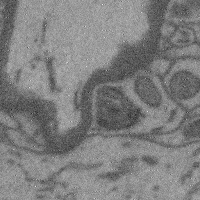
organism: Mouse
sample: Cerebral cortex